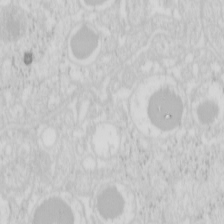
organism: Mouse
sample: Pancreas